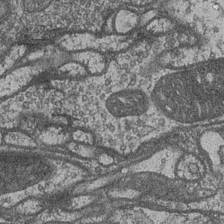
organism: Drosophila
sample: Optic medulla